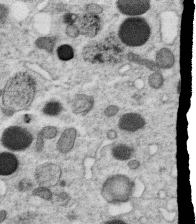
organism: C. elegans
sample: C. elegans oocyte; sperm cells